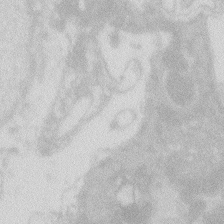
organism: Zebrafish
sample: Macrophage